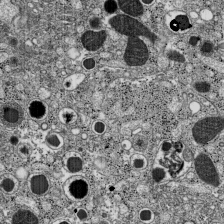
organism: C57BL Mouse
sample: Pancreatic islet